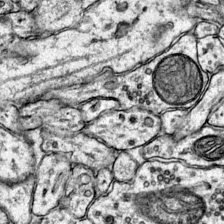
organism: Mouse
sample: Primary visual cortex